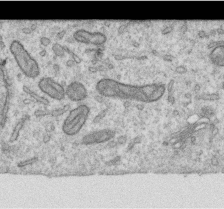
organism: Human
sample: Centriole in RPE cells